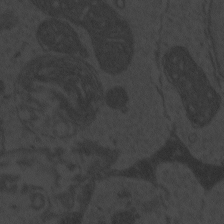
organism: Zebrafish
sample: Macrophage infected with Toxoplasma gondii